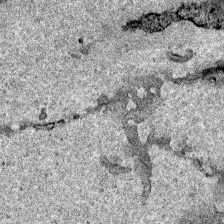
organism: Human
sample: Mitochondria in HCT116 cells